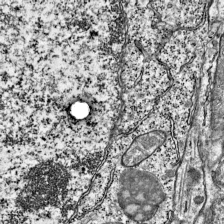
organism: Mouse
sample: Visual Cortex